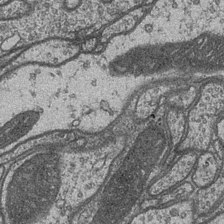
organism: Drosophila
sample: Optic medulla